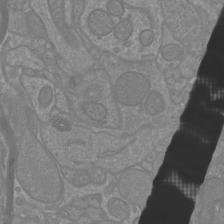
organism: Mouse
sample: Cortical neurons